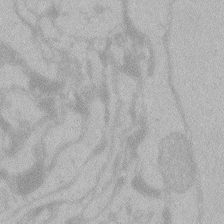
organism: Zebrafish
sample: Macrophage infected with Toxoplasma gondii